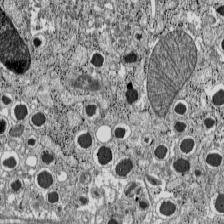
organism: C57BL Mouse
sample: Pancreatic islet